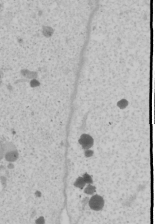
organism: Human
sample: Mitochondria in U2OS cells